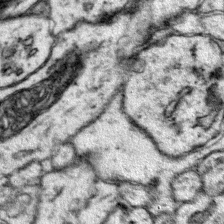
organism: Mouse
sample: Primary visual cortex